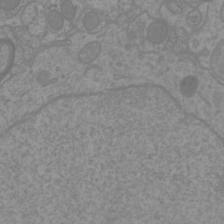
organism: Mouse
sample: Cortical neurons